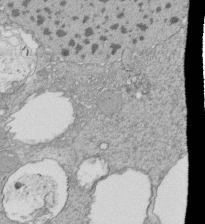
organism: Tetrahymena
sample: Cilia in tetrahymena